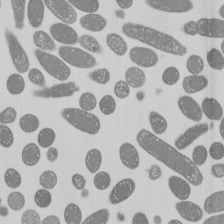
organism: E. coli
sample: Bacterial nucleoid